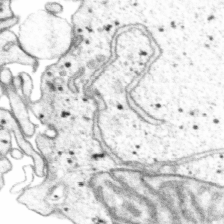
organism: Human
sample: HeLa cells